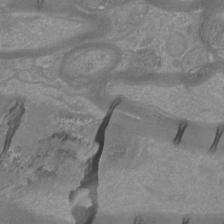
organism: Mouse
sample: Cortical neurons